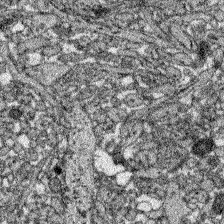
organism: Zebrafish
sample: Larval olfactory bulb